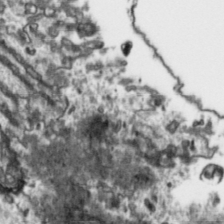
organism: Toxoplasma gondii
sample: Parasites in a vacuole inside a host cell